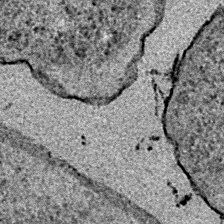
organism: E. coli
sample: E. Coli Bacteria